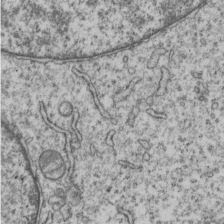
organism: Human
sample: MDA-MB-231 cells